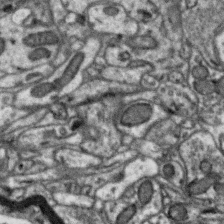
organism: Zebra finch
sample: Brain